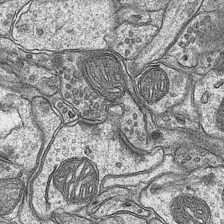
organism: Mouse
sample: CA1 Hippocampus